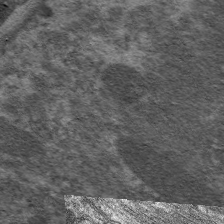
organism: C. elegans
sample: Pharynx